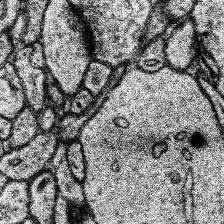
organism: Human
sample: Temporal Lobe